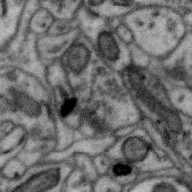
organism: Zebra finch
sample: Brain